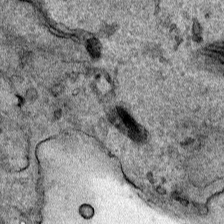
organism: Human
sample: Mitochondria in HCT116 cells